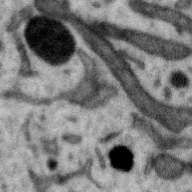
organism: Zebra finch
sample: Brain